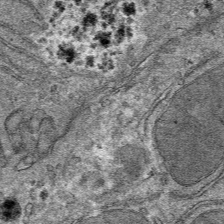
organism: Mouse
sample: Mouse hepatocytes